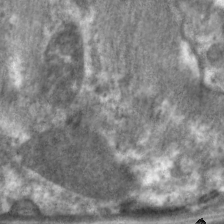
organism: C. elegans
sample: Pharynx